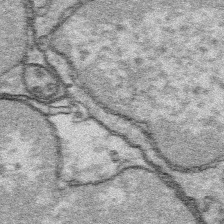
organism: Platynereis dumerilii